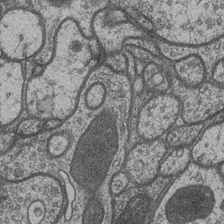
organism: Drosophila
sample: Optic medulla